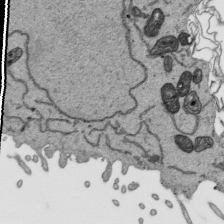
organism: Human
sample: Mitochondria in HCT116 cells